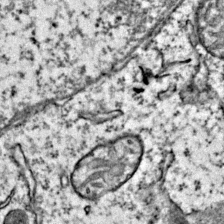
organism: Mouse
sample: Primary visual cortex